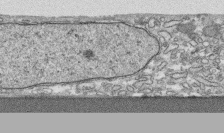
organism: Human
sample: CRL-1474